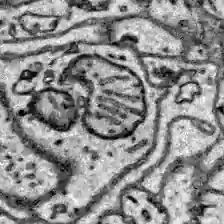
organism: Zebrafish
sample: Brain